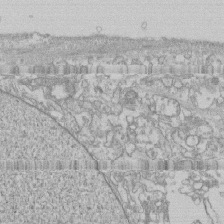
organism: Human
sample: CRL-1474